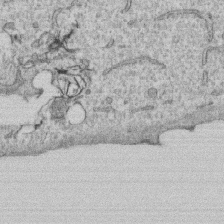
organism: Human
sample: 1205lu cells